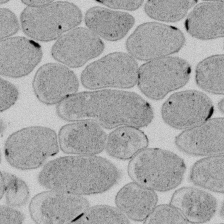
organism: E. coli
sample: Bacterial nucleoid